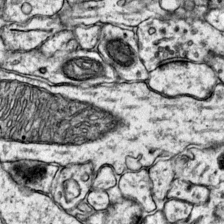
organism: Mouse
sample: Primary visual cortex